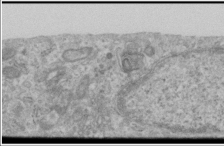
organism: Human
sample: Cilia; basal body in RPE cells